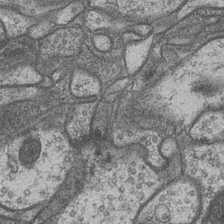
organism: Drosophila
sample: Optic medulla